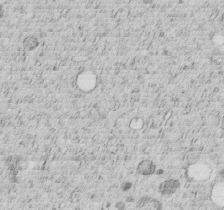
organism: C. elegans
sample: C. elegans embryo early stage